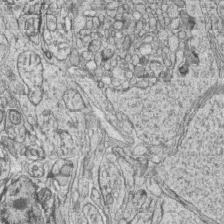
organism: Zebrafish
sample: synaptic ribbons in rod cells and cone cells